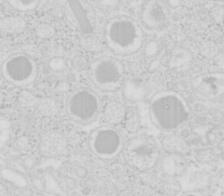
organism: Mouse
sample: Pancreas